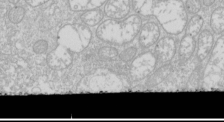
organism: Drosophila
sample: Cell division; meiosis; drosophila spermatocytes